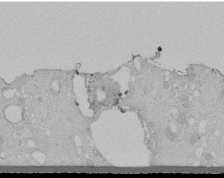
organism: Human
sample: Melanocyte Keratinocyte synapse skin construct